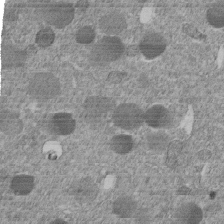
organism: C. elegans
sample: C. elegans embryo early stage